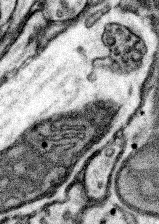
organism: Mouse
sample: Somatosensory cortex neuropil